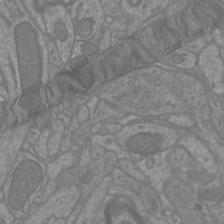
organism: Mouse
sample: Cortical neurons